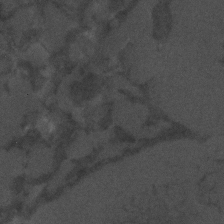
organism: C. elegans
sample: C. elegans embryo